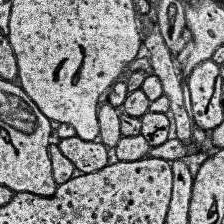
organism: Human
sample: Temporal Lobe